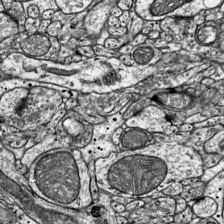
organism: Mouse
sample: Visual Cortex